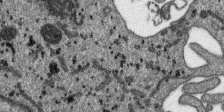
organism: Human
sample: Lung epithelial cells infected with SARS-CoV-2